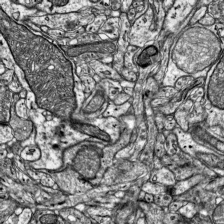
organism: Mouse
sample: Visual Cortex